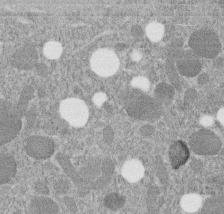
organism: C. elegans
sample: C. elegans embryo early stage